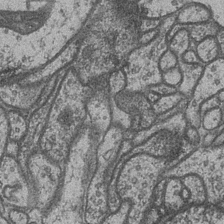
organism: Drosophila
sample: Optic medulla